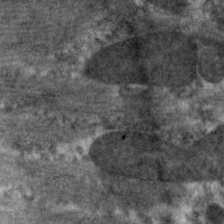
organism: C. elegans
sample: Pharynx